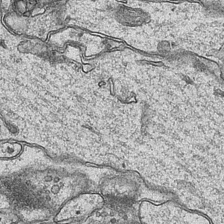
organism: Mouse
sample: CA1 Hippocampus